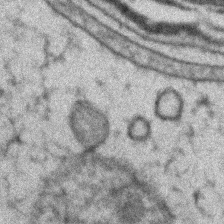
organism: Zebrafish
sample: Zebrafish embryo